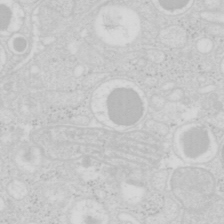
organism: Mouse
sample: Pancreas